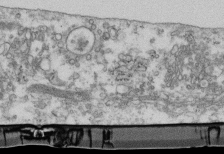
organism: Mouse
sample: Cilia; retinal pigment epithelium